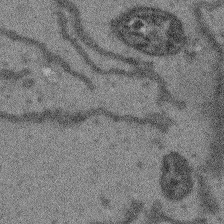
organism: Arabidopsis thaliana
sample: Root tip